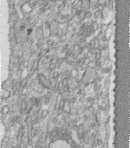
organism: Human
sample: Centriole in fibroblast cells